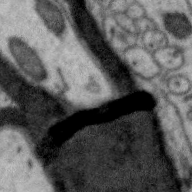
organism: Zebra finch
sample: Brain